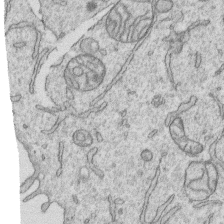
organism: Human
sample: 1205lu cells